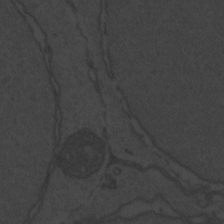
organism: Zebrafish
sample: Macrophage infected with Toxoplasma gondii